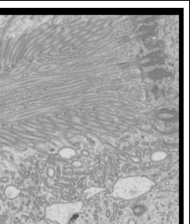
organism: Mouse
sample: Cilia; mouse epididymis